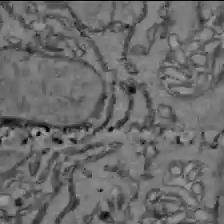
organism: C57BL Mouse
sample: Liver